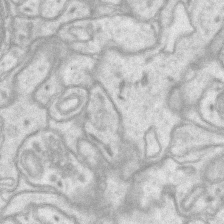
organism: Mouse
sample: CA1 Hippocampus